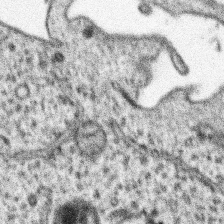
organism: Human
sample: HeLa cells